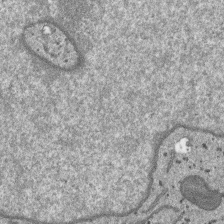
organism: Human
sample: Lung epithelial cells infected with SARS-CoV-2